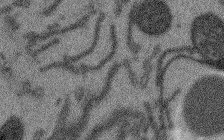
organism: Arabidopsis thaliana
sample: Root tip